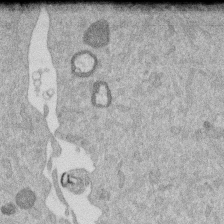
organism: Mouse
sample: Dividing mouse embryo 1 cell stage